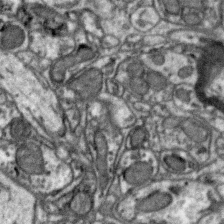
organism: Zebra finch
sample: Brain